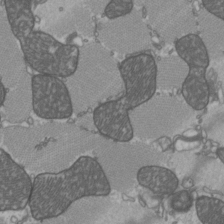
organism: C57BL Mouse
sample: Heart